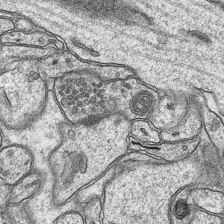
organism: Mouse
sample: CA1 Hippocampus